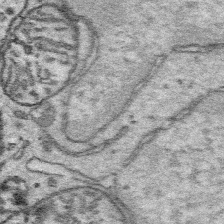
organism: Platynereis dumerilii